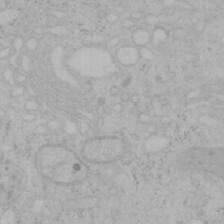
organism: Mouse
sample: OT-I killer T cells with ID8 ovarian cancer cells